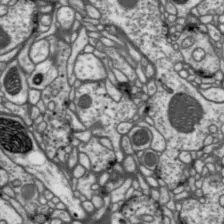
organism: Drosophila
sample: Protocerebral bridge